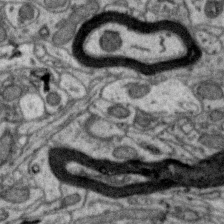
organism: Zebra finch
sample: Brain